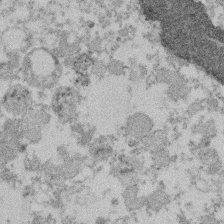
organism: Mouse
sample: Dividing mouse embryo 1 cell stage